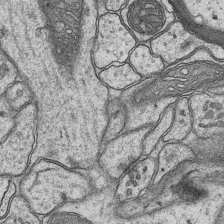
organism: Mouse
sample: CA1 Hippocampus